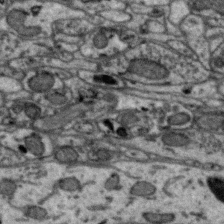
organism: Zebra finch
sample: Brain